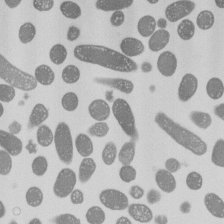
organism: E. coli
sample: Bacterial nucleoid